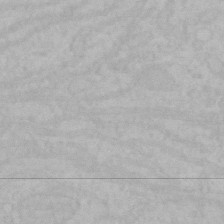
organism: Mouse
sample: Choroid plexus